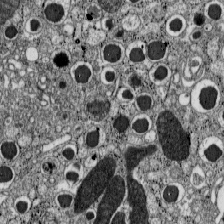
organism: C57BL Mouse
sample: Pancreatic islet